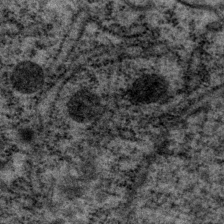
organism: P. pacificus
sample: Pharynx